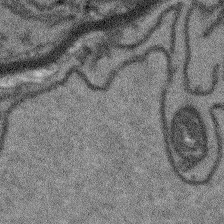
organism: Arabidopsis thaliana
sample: Root tip